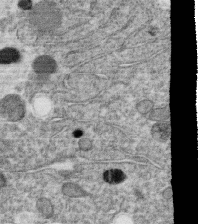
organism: C. elegans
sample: C. elegans oocyte; sperm cells